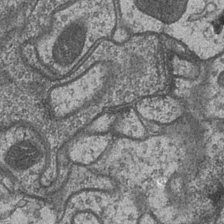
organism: Drosophila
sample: Optic medulla